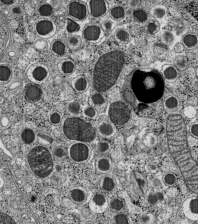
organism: C57BL Mouse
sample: Pancreatic islet